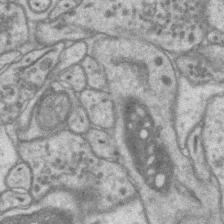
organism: Mouse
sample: CA1 Hippocampus